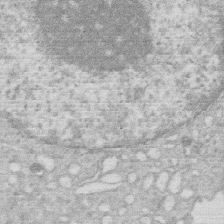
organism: Human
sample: Macrophage cells